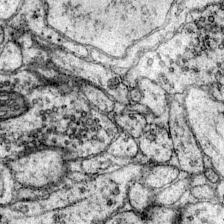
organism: Mouse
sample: Primary visual cortex